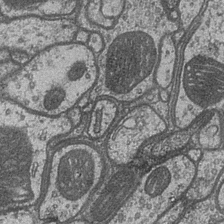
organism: Drosophila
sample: Optic medulla